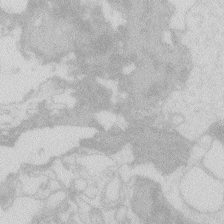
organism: Zebrafish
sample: Macrophage